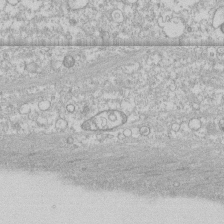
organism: Human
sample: CRL-1474